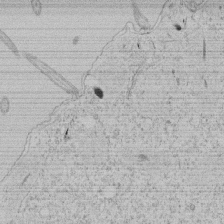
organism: Tetrahymena